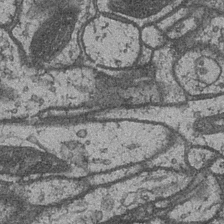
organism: Drosophila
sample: Optic medulla